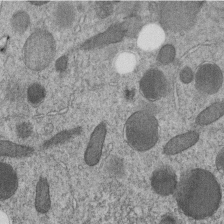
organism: C. elegans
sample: C. elegans embryo early stage